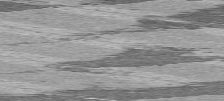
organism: C57BL Mouse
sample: Heart